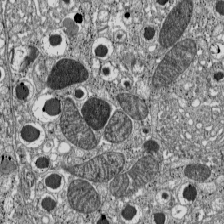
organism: C57BL Mouse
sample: Pancreatic islet